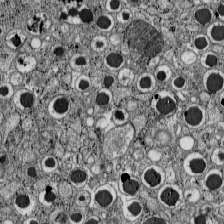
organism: C57BL Mouse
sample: Pancreatic islet